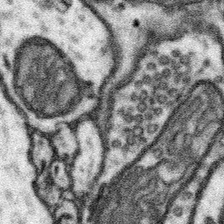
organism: Mouse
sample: Somatosensory cortex neuropil